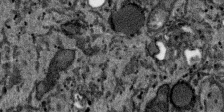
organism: Human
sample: Lung epithelial cells, uninfected (mock) control